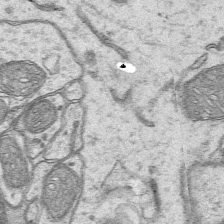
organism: Mouse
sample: CA1 Hippocampus